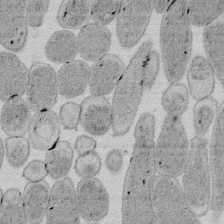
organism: E. coli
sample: Bacterial nucleoid